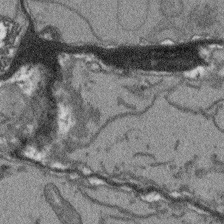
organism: Arabidopsis thaliana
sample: Root tip